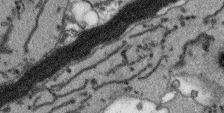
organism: Arabidopsis thaliana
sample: Root tip